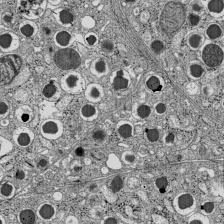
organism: C57BL Mouse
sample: Pancreatic islet